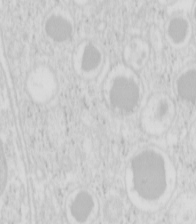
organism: Mouse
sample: Pancreas